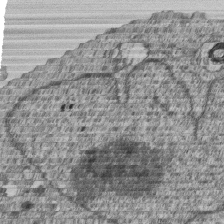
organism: Human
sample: MDA-MB-231 cells